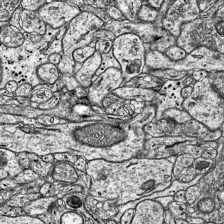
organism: Mouse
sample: Visual Cortex